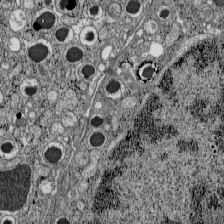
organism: C57BL Mouse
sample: Pancreatic islet